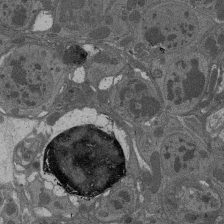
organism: Drosophila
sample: Antenna